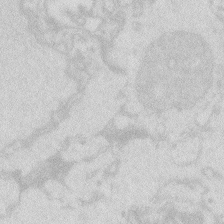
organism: Zebrafish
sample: Macrophage